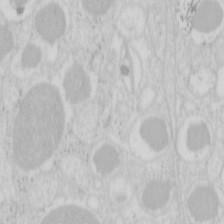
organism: Mouse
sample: Pancreas